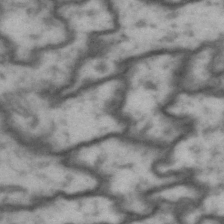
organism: Drosophila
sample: Brain